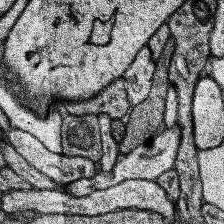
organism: Human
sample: Temporal Lobe